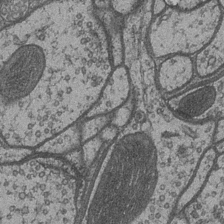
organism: Drosophila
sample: Optic medulla